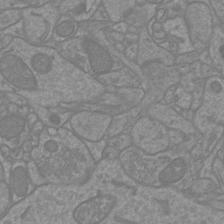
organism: Mouse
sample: Cortical neurons